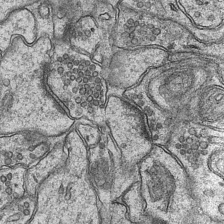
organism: Mouse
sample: CA1 Hippocampus